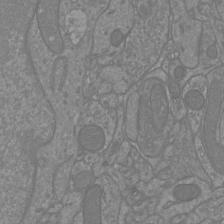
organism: Mouse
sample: Cortical neurons